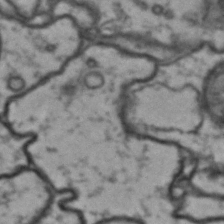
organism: Drosophila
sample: Brain